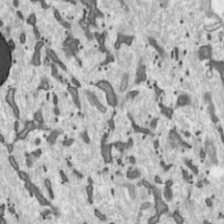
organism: Toxoplasma gondii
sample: Parasites in a vacuole inside a host cell